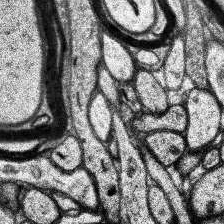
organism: Human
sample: Temporal Lobe